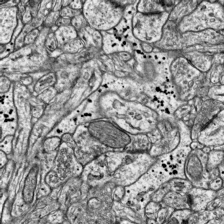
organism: Mouse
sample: Visual Cortex